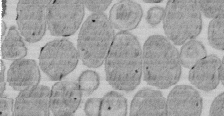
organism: E. coli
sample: Bacterial nucleoid